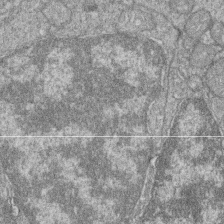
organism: Zebrafish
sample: Cilia; retinal pigment epithelium